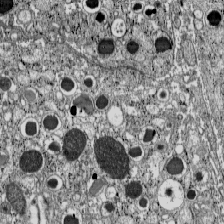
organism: C57BL Mouse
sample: Pancreatic islet